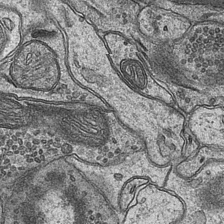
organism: Mouse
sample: CA1 Hippocampus